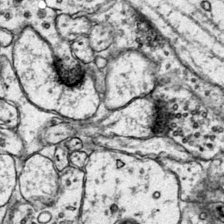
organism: Mouse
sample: Primary visual cortex